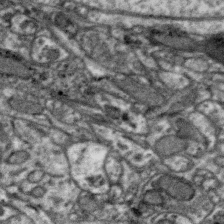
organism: Zebra finch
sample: Brain